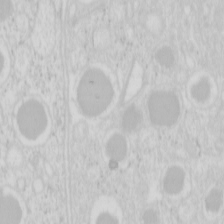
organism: Mouse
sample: Pancreas